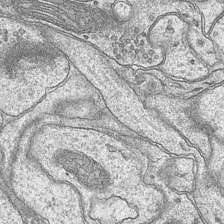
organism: Mouse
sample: CA1 Hippocampus